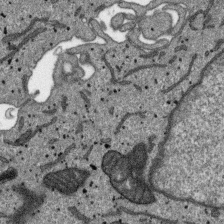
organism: Human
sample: Lung epithelial cells, uninfected (mock) control